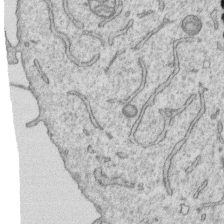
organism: Human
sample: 1205lu cells